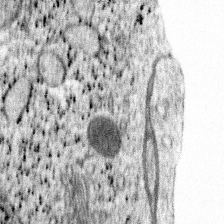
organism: Human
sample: HeLa cells